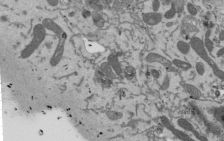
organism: Mouse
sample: ED-1 cell nuclei; centrioles